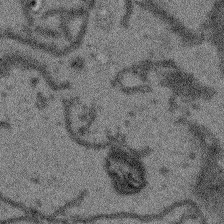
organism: Arabidopsis thaliana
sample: Root tip